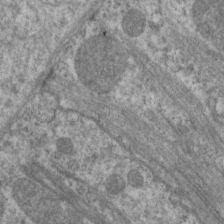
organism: C. elegans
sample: Pharynx